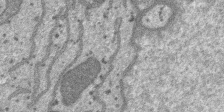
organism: Human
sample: Lung epithelial cells infected with SARS-CoV-2